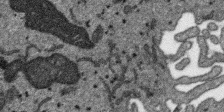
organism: Human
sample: Lung epithelial cells infected with SARS-CoV-2